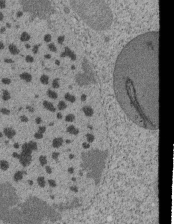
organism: Tetrahymena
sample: Cilia in tetrahymena